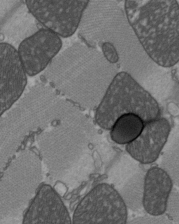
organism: C57BL Mouse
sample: Heart